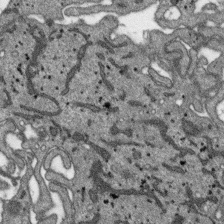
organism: Human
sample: Lung epithelial cells, uninfected (mock) control